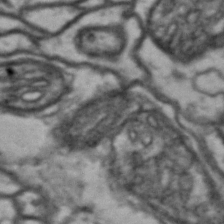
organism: Drosophila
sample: Brain